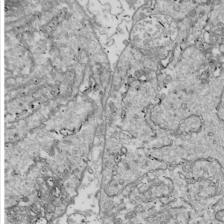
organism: Drosophila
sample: Cell division; meiosis; drosophila spermatocytes